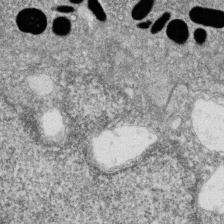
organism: Zebrafish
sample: Cilia; retinal pigment epithelium